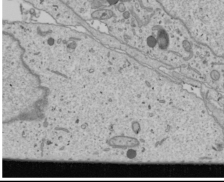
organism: Human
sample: Mitochondria in U2OS cells